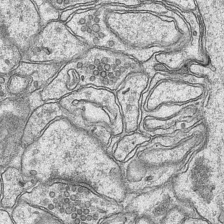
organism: Mouse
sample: CA1 Hippocampus